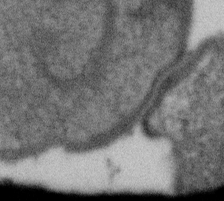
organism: Gemmata obscuriglobus